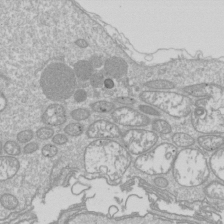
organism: Drosophila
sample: Cell division; meiosis; drosophila spermatocytes